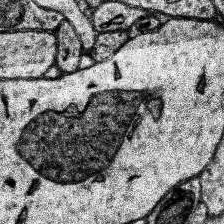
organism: Human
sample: Temporal Lobe